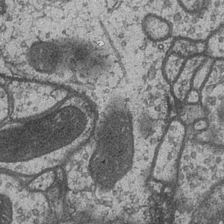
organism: Drosophila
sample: Optic medulla